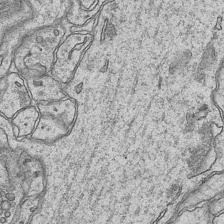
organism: Mouse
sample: CA1 Hippocampus